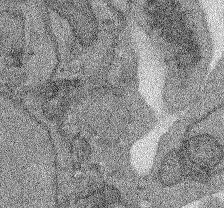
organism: Human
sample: HeLa cells